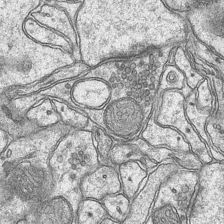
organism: Mouse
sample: CA1 Hippocampus